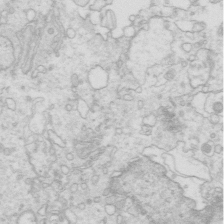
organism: Mouse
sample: Multiciliated cells